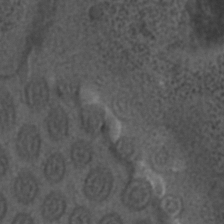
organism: C. elegans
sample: C. elegans embryo